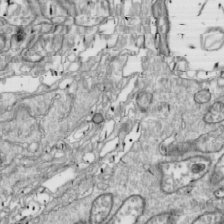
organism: Drosophila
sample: Cell division; meiosis; drosophila spermatocytes